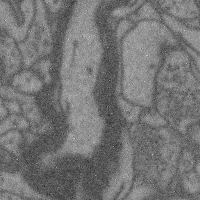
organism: Mouse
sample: Cerebral cortex